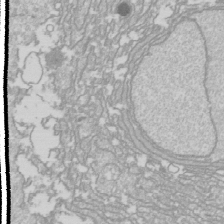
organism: Drosophila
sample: Cell division; meiosis; drosophila spermatocytes